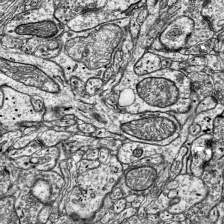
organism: Mouse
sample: Visual Cortex